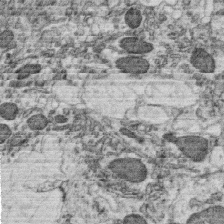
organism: C. elegans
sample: C. elegans oocyte; sperm cells